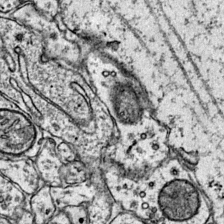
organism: Mouse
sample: Primary visual cortex